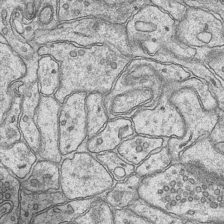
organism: Mouse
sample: CA1 Hippocampus